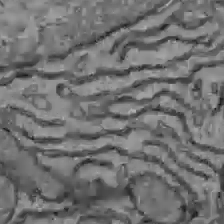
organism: C57BL Mouse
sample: Liver